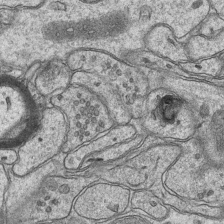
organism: Mouse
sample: CA1 Hippocampus